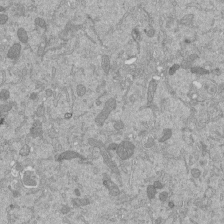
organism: Mouse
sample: ED-1 cell nuclei; centrioles